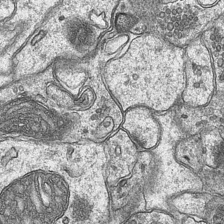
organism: Mouse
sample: CA1 Hippocampus